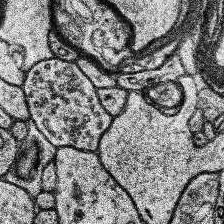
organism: Human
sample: Temporal Lobe